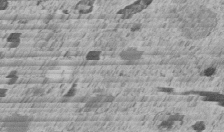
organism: C. elegans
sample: C. elegans embryo early stage